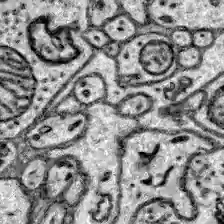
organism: Zebrafish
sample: Brain